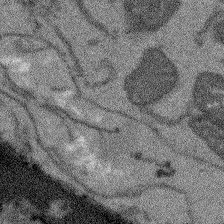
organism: Arabidopsis thaliana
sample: Root tip